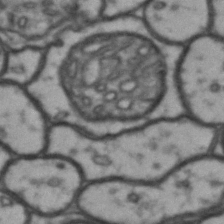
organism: Drosophila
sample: Brain